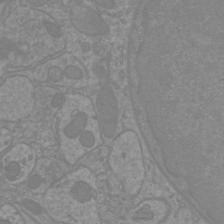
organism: Mouse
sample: Cortical neurons